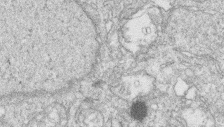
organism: Human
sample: HeLa cell HIV synapse